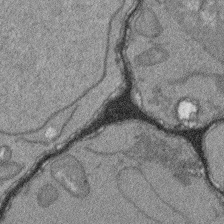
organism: Arabidopsis thaliana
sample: Root tip